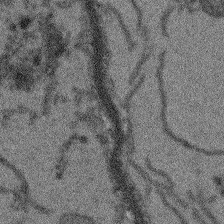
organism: Arabidopsis thaliana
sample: Root tip